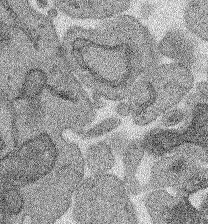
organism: Human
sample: HeLa cells